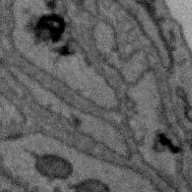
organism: Zebra finch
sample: Brain